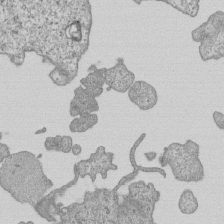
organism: Human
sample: MDA-MB-231 cells